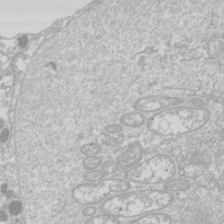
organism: Drosophila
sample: Cell division; meiosis; drosophila spermatocytes